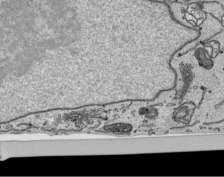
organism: Human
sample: Mitochondria in HCT116 cells